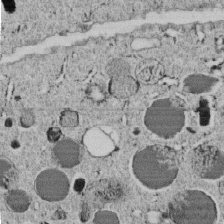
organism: C. elegans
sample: C. elegans embryo early stage